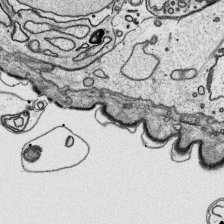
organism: Platynereis dumerilii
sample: Parapodia